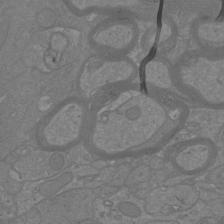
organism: Mouse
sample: Cortical neurons